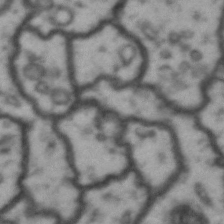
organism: Drosophila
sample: Brain